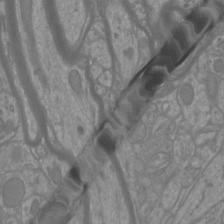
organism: Mouse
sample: Cortical neurons